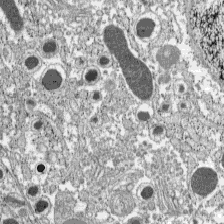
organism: C57BL Mouse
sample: Pancreatic islet